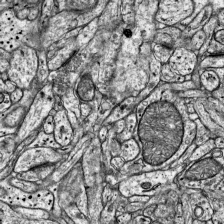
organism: Mouse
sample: Visual Cortex